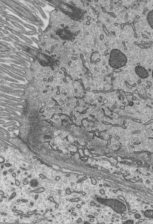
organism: Mouse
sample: Mouse epididymis efferent ductule cilia